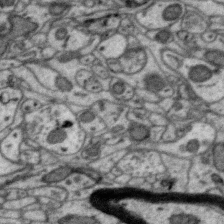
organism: Zebra finch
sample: Brain